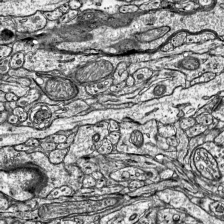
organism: Mouse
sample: Visual Cortex